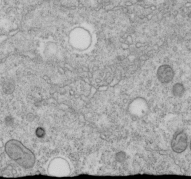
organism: C. elegans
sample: C. elegans embryo early stage